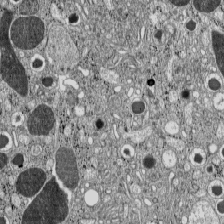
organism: C57BL Mouse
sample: Pancreatic islet